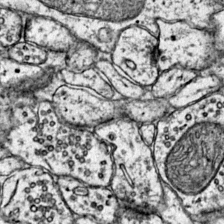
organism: Mouse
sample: Primary visual cortex